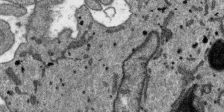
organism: Human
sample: Lung epithelial cells, uninfected (mock) control